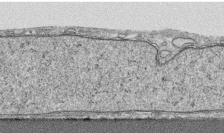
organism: Human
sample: CRL-1474